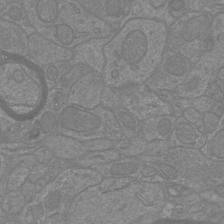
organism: Mouse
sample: Cortical neurons